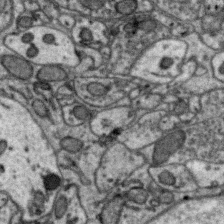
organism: Zebra finch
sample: Brain